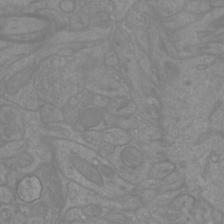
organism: Mouse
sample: Cortical neurons